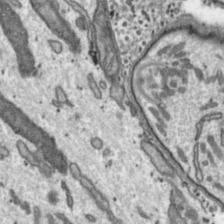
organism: Toxoplasma gondii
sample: Parasites in a vacuole inside a host cell